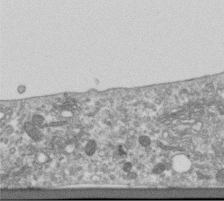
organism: Human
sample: Centriole in RPE cells